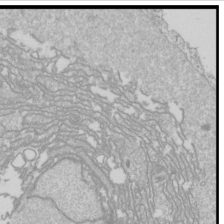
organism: Drosophila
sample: Cell division; meiosis; drosophila spermatocytes